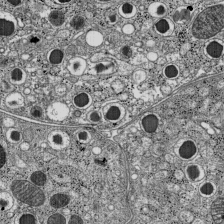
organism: C57BL Mouse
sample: Pancreatic islet